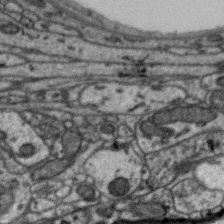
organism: Zebra finch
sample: Brain